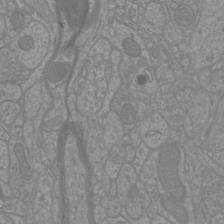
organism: Mouse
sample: Cortical neurons